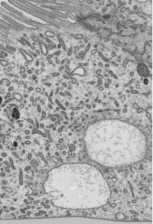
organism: Mouse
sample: Mouse epididymis efferent ductule cilia